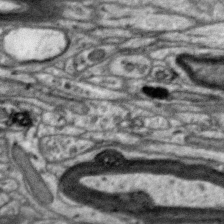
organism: Zebra finch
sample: Brain